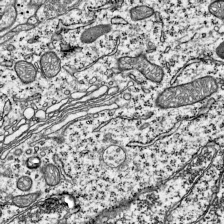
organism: Mouse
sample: Visual Cortex